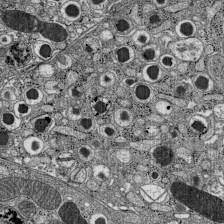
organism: C57BL Mouse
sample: Pancreatic islet